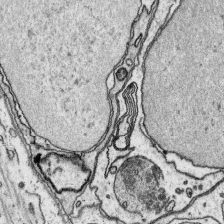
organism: Platynereis dumerilii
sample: Parapodia